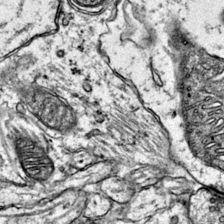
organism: Mouse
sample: Primary visual cortex